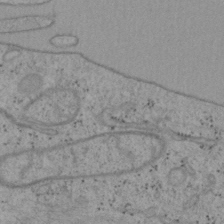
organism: Human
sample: HeLa cells